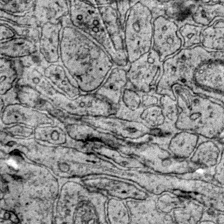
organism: Mouse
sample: Primary visual cortex